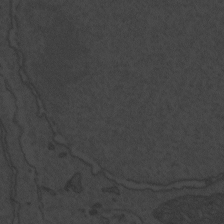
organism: Zebrafish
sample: Macrophage infected with Toxoplasma gondii